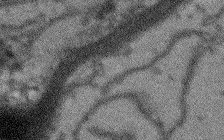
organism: Arabidopsis thaliana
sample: Root tip